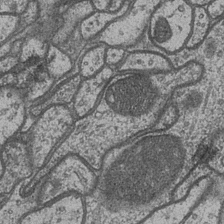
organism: Drosophila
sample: Optic medulla